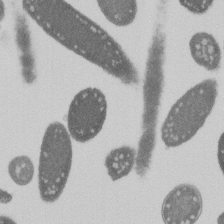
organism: E. coli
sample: Bacterial nucleoid